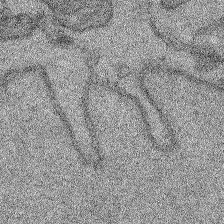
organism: Human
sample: HeLa cells